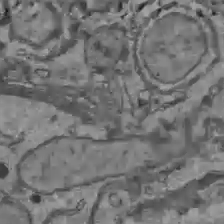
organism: C57BL Mouse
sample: Liver